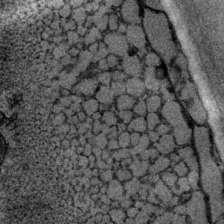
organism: P. pacificus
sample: Pharynx